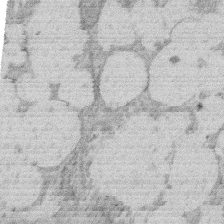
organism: Rat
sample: Salivary granule